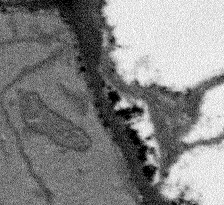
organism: Arabidopsis thaliana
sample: Root tip